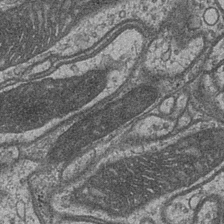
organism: Drosophila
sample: Optic medulla